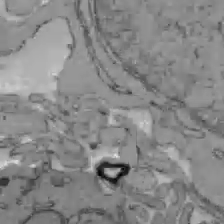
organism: C57BL Mouse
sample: Liver